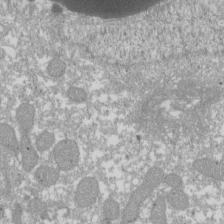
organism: Xenopus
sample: Cilia; centrioles in frog embryo cells